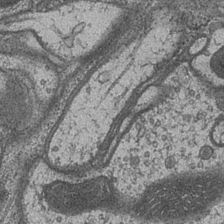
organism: Drosophila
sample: Optic medulla